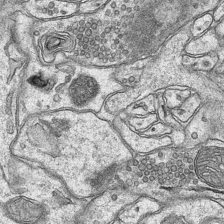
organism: Mouse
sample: CA1 Hippocampus